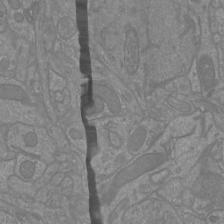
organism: Mouse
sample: Cortical neurons